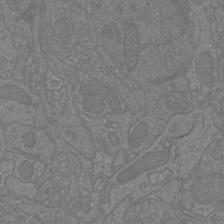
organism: Mouse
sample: Cortical neurons